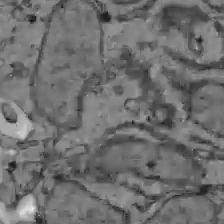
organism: C57BL Mouse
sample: Liver